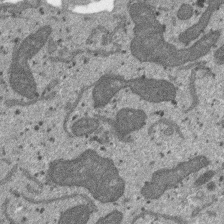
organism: Human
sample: Lung epithelial cells infected with SARS-CoV-2